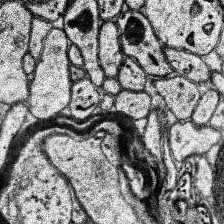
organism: Human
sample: Temporal Lobe